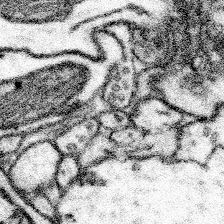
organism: Mouse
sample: Somatosensory cortex neuropil